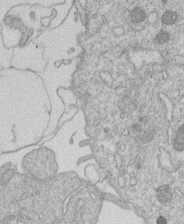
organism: Human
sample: Macrophage cells